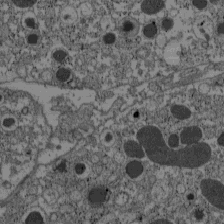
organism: C57BL Mouse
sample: Pancreatic islet